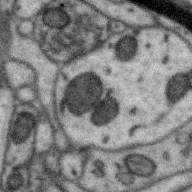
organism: Zebra finch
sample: Brain